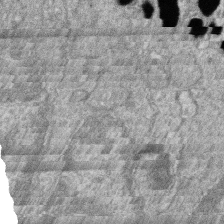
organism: Zebrafish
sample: Cilia; retinal pigment epithelium